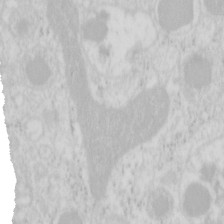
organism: Mouse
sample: Pancreas